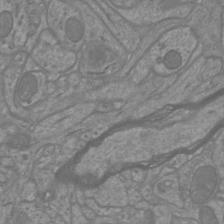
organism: Mouse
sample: Cortical neurons